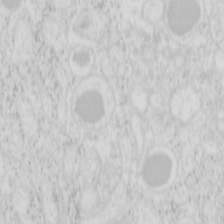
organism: Mouse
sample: Pancreas